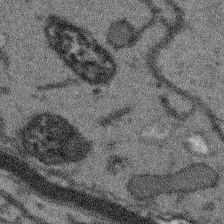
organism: Arabidopsis thaliana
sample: Root tip